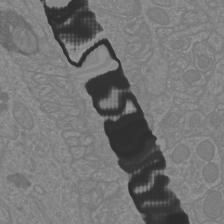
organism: Mouse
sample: Cortical neurons